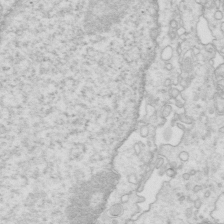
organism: Mouse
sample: Multiciliated cells